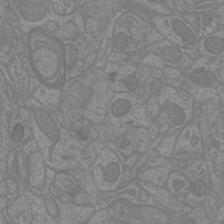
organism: Mouse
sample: Cortical neurons